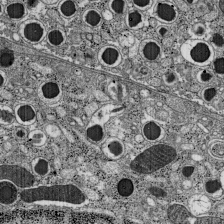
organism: C57BL Mouse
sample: Pancreatic islet